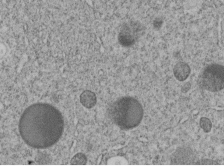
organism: C. elegans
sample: C. elegans embryo early stage